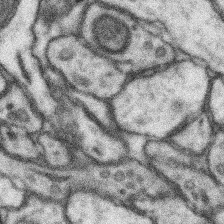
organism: Mouse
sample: Somatosensory cortex neuropil